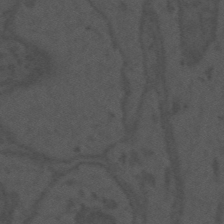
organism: Mouse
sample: Suprachiasmatic nucleus